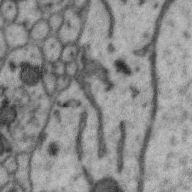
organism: Zebra finch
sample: Brain